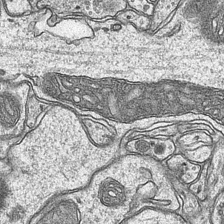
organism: Mouse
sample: CA1 Hippocampus